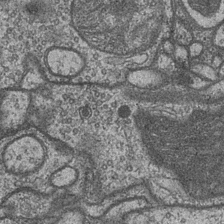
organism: Drosophila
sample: Optic medulla